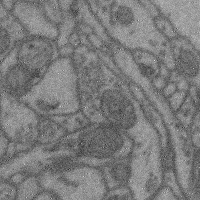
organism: Mouse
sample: Cerebral cortex